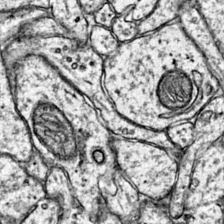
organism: Mouse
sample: Primary visual cortex